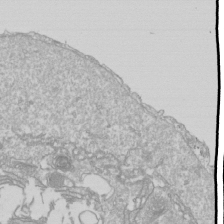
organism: Drosophila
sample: Cell division; meiosis; drosophila spermatocytes